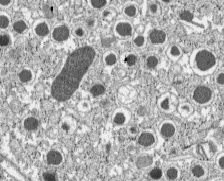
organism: C57BL Mouse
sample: Pancreatic islet